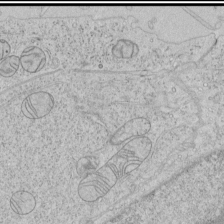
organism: Human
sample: Mitochondria in HCT116 cells